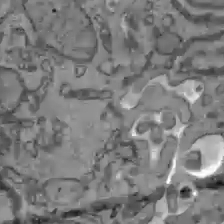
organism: C57BL Mouse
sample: Liver